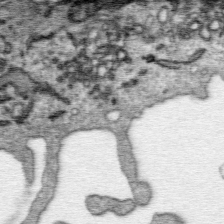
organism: Human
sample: HeLa cells